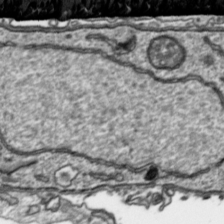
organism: Toxoplasma gondii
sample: Parasites in a vacuole inside a host cell